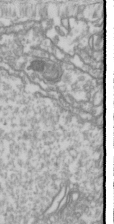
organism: Drosophila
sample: Cell division; meiosis; drosophila spermatocytes